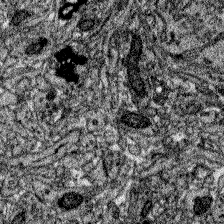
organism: Zebrafish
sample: Larval olfactory bulb